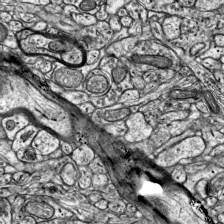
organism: Mouse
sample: Visual Cortex